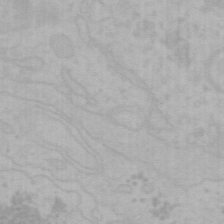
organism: Mouse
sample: Choroid plexus